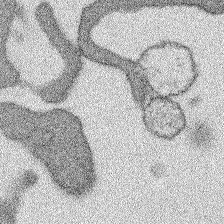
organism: Human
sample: HeLa cells